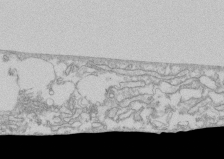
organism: Human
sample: CRL-1474